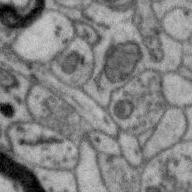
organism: Zebra finch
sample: Brain